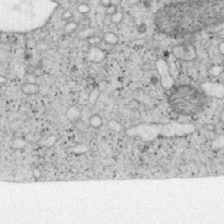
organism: Mouse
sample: OT-I killer T cells with ID8 ovarian cancer cells